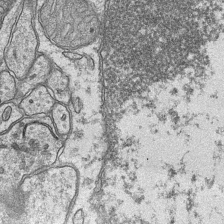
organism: Mouse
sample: CA1 Hippocampus